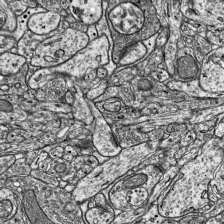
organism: Mouse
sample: Visual Cortex